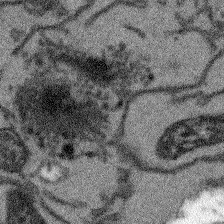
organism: Arabidopsis thaliana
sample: Root tip